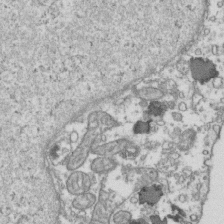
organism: Human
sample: Activated Jurkat CD4+ T cells